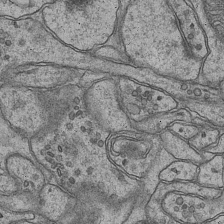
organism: Mouse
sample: CA1 Hippocampus